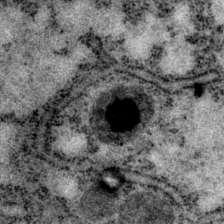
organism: P. pacificus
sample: Pharynx